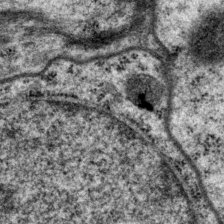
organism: P. pacificus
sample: Pharynx